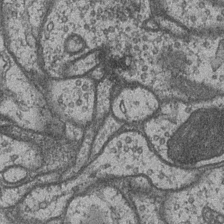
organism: Drosophila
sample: Optic medulla